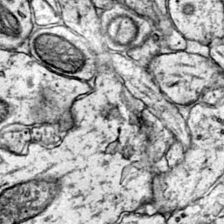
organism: Mouse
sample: Primary visual cortex